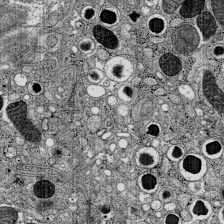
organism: C57BL Mouse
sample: Pancreatic islet